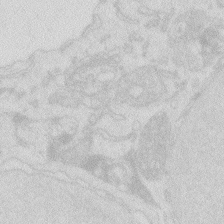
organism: Zebrafish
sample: Macrophage